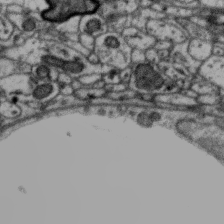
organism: Zebra finch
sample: Brain